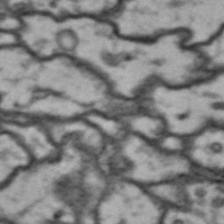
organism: Drosophila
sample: Brain